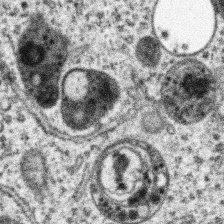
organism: Human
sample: HeLa cells